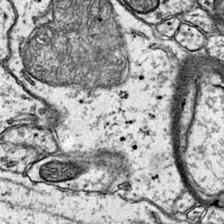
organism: Mouse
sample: Primary visual cortex